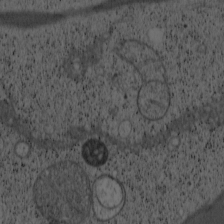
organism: African green monkey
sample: COS-7 cells